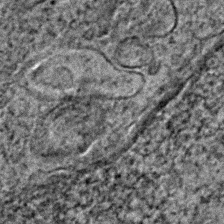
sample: Trachea